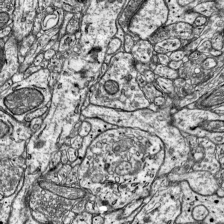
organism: Mouse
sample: Visual Cortex